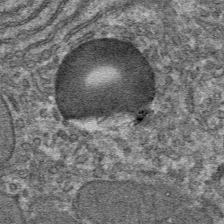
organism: Mouse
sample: Mouse hepatocytes